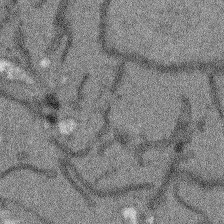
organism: Arabidopsis thaliana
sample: Root tip